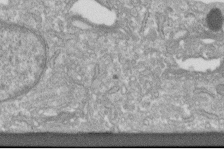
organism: Human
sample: Centriole in fibroblast cells